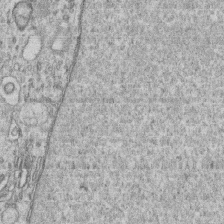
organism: Human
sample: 1205lu cells